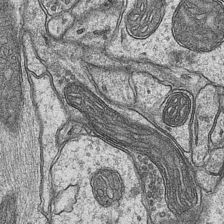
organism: Mouse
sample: CA1 Hippocampus